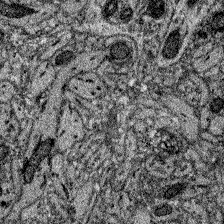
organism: Zebrafish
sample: Larval olfactory bulb